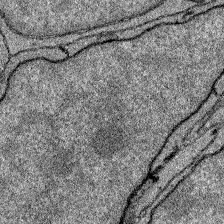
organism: Zebrafish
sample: Larval olfactory bulb